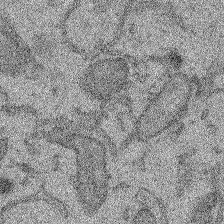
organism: Human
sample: HeLa cells